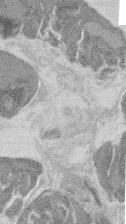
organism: Mouse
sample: T cell stromal cell synapse